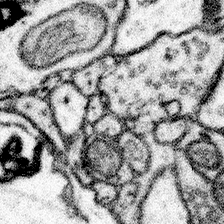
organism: Mouse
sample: Somatosensory cortex neuropil